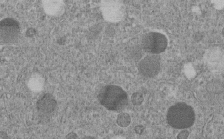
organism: C. elegans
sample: C. elegans embryo early stage